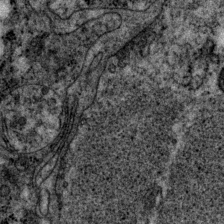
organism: P. pacificus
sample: Pharynx